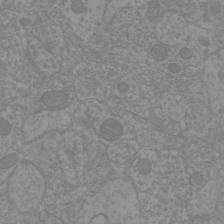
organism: Mouse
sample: Cortical neurons